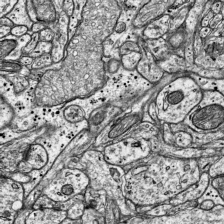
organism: Mouse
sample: Visual Cortex